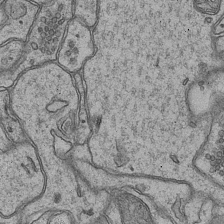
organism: Mouse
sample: CA1 Hippocampus